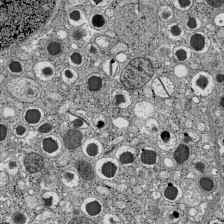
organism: C57BL Mouse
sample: Pancreatic islet